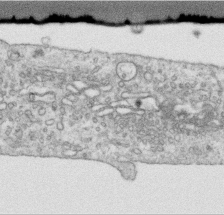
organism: Human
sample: Centriole in RPE cells